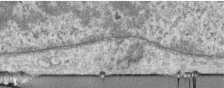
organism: Human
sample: Centriole in RPE cells